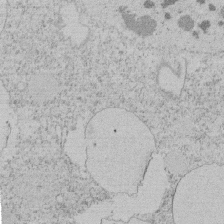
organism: Tetrahymena